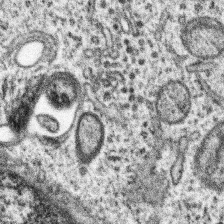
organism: Human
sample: HeLa cells